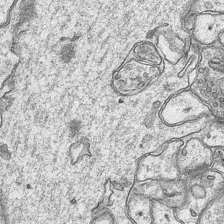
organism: Mouse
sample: CA1 Hippocampus